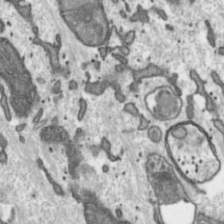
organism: Toxoplasma gondii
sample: Parasites in a vacuole inside a host cell